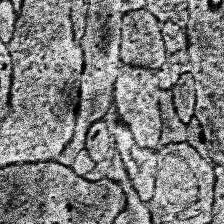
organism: Human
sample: Temporal Lobe